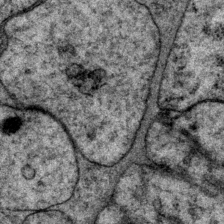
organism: P. pacificus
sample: Pharynx